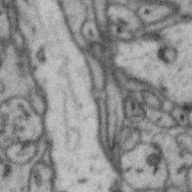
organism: Zebra finch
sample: Brain